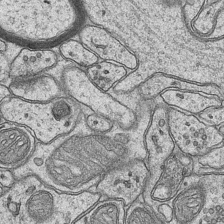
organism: Mouse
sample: CA1 Hippocampus